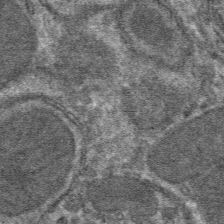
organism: Mouse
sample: Mouse hepatocytes